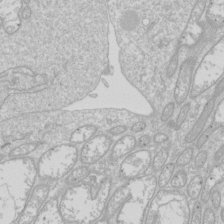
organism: Drosophila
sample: Cell division; meiosis; drosophila spermatocytes